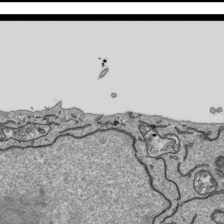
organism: Human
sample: Mitochondria in HCT116 cells